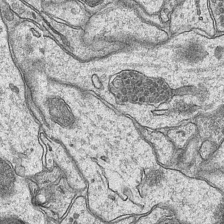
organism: Mouse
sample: CA1 Hippocampus